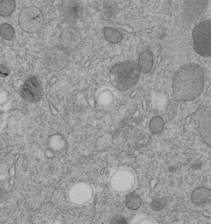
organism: C. elegans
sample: C. elegans embryo early stage